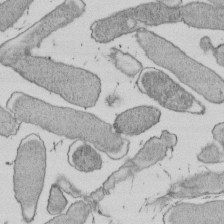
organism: E. coli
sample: Bacterial nucleoid